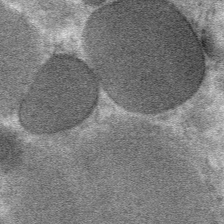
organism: Mouse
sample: Mouse Salivary gland